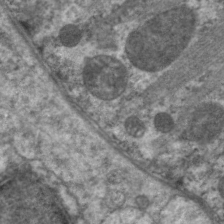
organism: C. elegans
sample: Pharynx